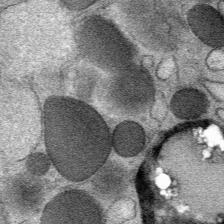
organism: Mouse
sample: Mouse Salivary gland